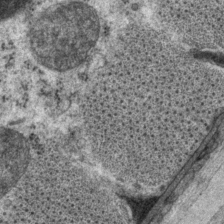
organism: P. pacificus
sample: Pharynx